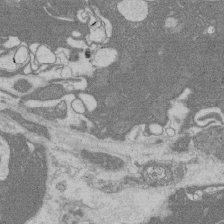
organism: Rat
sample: Salivary granule